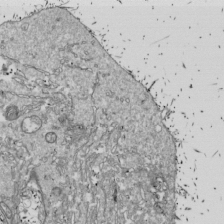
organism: Drosophila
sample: Cell division; meiosis; drosophila spermatocytes